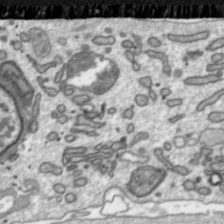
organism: Toxoplasma gondii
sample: Parasites in a vacuole inside a host cell